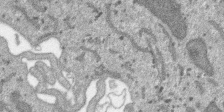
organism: Human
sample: Lung epithelial cells infected with SARS-CoV-2